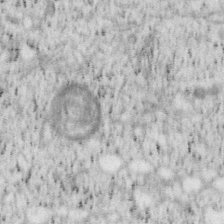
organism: Mouse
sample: OT-I killer T cells with ID8 ovarian cancer cells